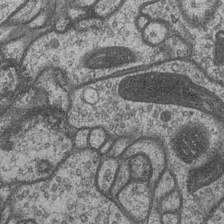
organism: Drosophila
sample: Optic medulla